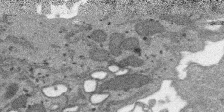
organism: Human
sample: Lung epithelial cells infected with SARS-CoV-2